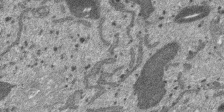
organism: Human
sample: Lung epithelial cells infected with SARS-CoV-2